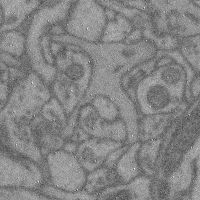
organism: Mouse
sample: Cerebral cortex